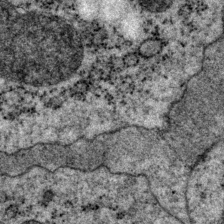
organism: P. pacificus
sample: Pharynx